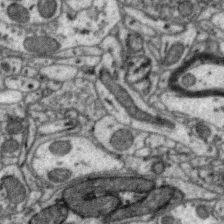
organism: Zebra finch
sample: Brain